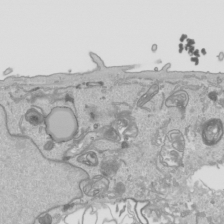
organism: Human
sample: Mitochondria in HCT116 cells